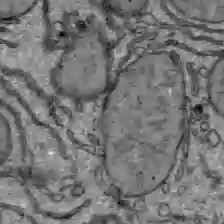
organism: C57BL Mouse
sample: Liver